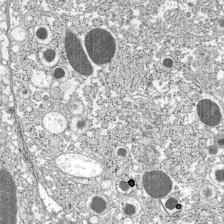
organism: C57BL Mouse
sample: Pancreatic islet